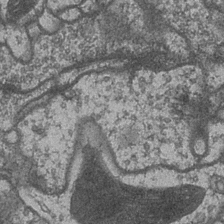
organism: Drosophila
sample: Optic medulla